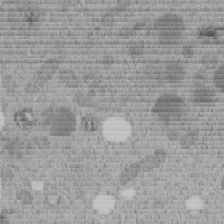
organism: C. elegans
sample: C. elegans embryo early stage